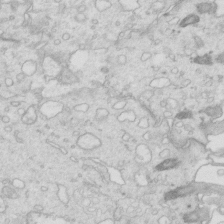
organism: Mouse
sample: Multiciliated cells